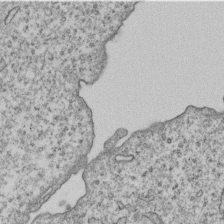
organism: Human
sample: MDA-MB-231 cells